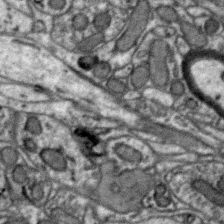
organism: Zebra finch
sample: Brain